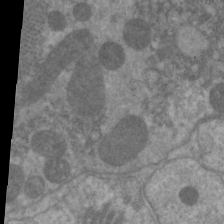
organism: C. elegans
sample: Pharynx